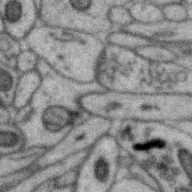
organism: Zebra finch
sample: Brain